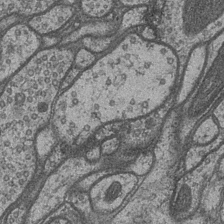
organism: Drosophila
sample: Optic medulla